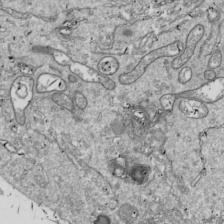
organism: Drosophila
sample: Cell division; meiosis; drosophila spermatocytes